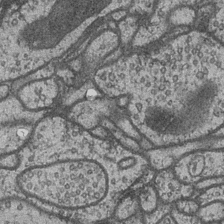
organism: Drosophila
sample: Optic medulla